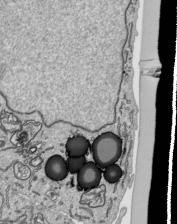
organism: Human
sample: Mitochondria in HCT116 cells